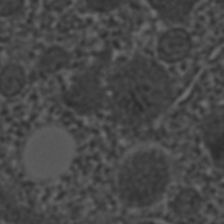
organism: C. elegans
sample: C. elegans embryo